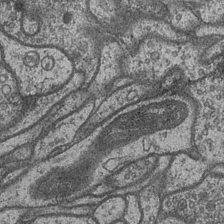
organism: Drosophila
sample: Optic medulla